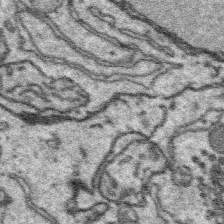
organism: Platynereis dumerilii